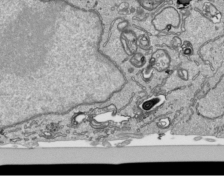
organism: Human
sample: Mitochondria in HCT116 cells